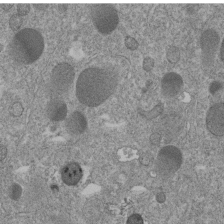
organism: C. elegans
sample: C. elegans embryo early stage